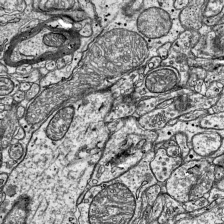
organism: Mouse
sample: Visual Cortex